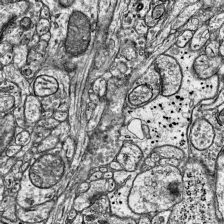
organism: Mouse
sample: Visual Cortex